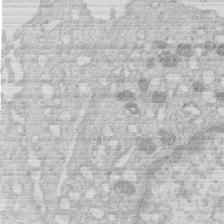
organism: Human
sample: Macrophage cells